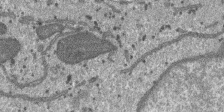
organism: Human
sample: Lung epithelial cells infected with SARS-CoV-2